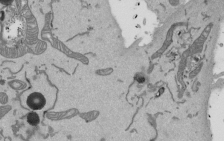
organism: Mouse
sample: ED-1 cell nuclei; centrioles